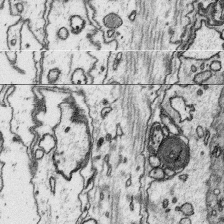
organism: Platynereis dumerilii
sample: Parapodia